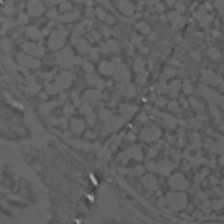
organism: C. elegans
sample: C. elegans embryo